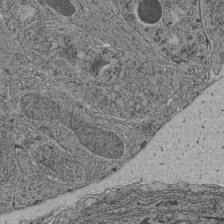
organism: C. elegans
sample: C. elegans pharynx